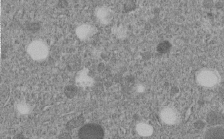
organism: C. elegans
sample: C. elegans embryo early stage